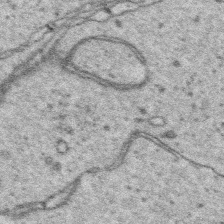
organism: Platynereis dumerilii